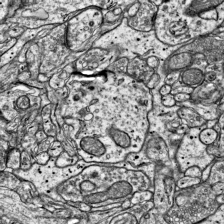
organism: Mouse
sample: Visual Cortex